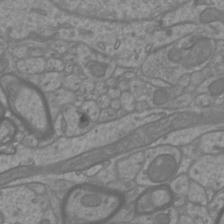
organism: Mouse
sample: Cortical neurons